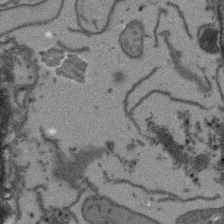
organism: Arabidopsis thaliana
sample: Root tip